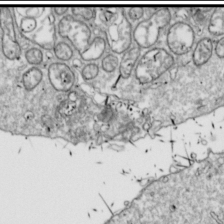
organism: Drosophila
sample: Cell division; meiosis; drosophila spermatocytes